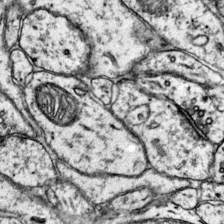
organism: Mouse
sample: Primary visual cortex